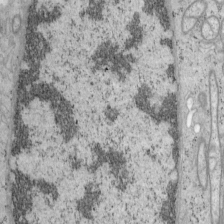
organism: Mouse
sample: OT-I killer T cells with ID8 ovarian cancer cells